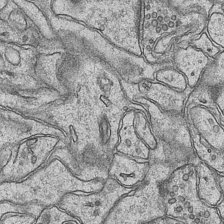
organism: Mouse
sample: CA1 Hippocampus